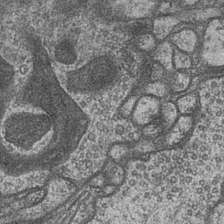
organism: Drosophila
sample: Optic medulla